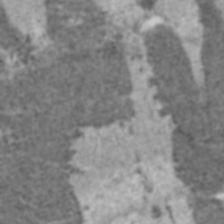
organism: C57BL Mouse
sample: Heart